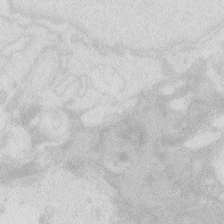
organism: Zebrafish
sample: Macrophage